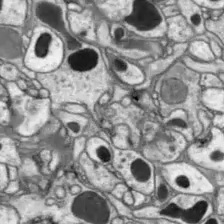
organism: Drosophila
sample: Optic lobe